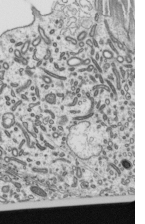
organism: Mouse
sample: Mouse epididymis efferent ductule cilia